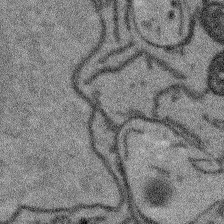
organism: Arabidopsis thaliana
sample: Root tip